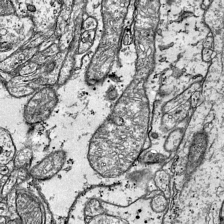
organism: Mouse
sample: Visual Cortex